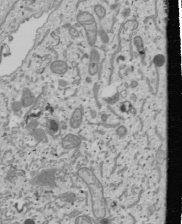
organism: Human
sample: Mitochondria in U2OS cells